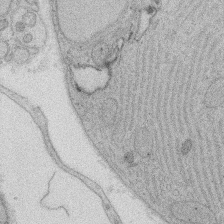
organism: Rat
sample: Salivary granule